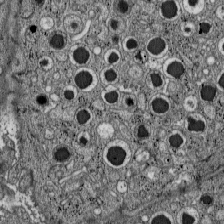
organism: C57BL Mouse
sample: Pancreatic islet